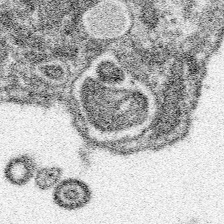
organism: Spongilla lacustris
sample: Neuroid cell